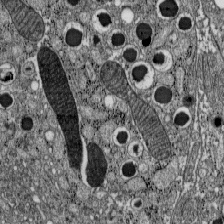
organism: C57BL Mouse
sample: Pancreatic islet